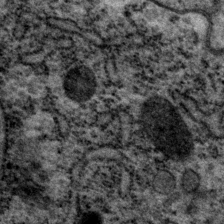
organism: P. pacificus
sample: Pharynx